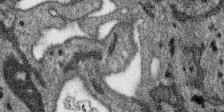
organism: Human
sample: Lung epithelial cells infected with SARS-CoV-2